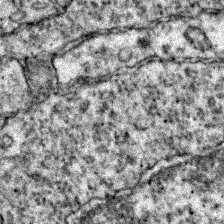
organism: Zebrafish